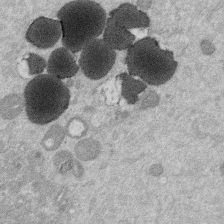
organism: Mouse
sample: Dividing mouse embryo 1 cell stage